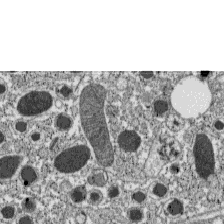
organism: C57BL Mouse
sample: Pancreatic islet